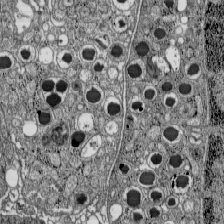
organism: C57BL Mouse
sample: Pancreatic islet